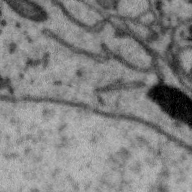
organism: Zebra finch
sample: Brain